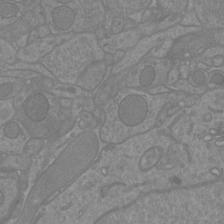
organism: Mouse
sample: Cortical neurons